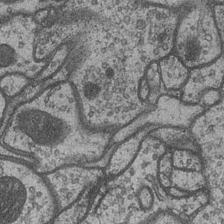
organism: Drosophila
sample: Optic medulla